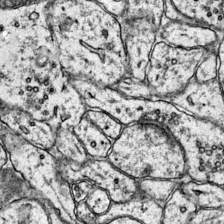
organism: Mouse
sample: Primary visual cortex